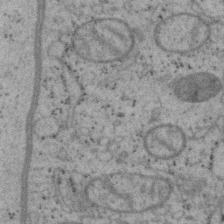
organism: Human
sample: HeLa cells